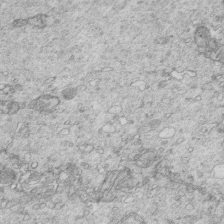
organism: Mouse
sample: Multiciliated cells